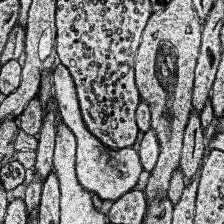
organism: Human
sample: Temporal Lobe